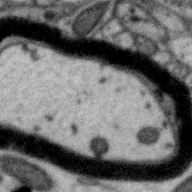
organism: Zebra finch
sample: Brain